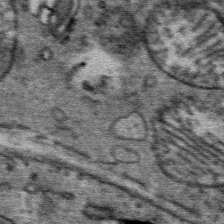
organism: Mouse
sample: Mouse Salivary gland